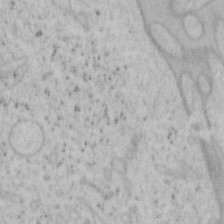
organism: Human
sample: HeLa cells